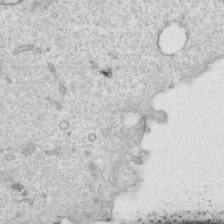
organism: Human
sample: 1205lu cells